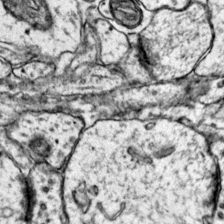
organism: Mouse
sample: Primary visual cortex